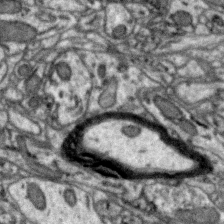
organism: Zebra finch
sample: Brain